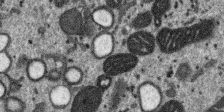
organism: Human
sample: Lung epithelial cells infected with SARS-CoV-2